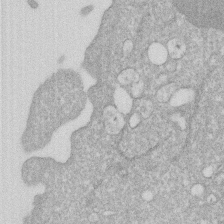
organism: Human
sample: HIV infected U937 cells